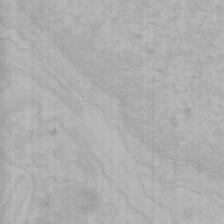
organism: Mouse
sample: Choroid plexus